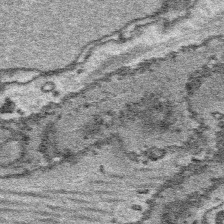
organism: Platynereis dumerilii